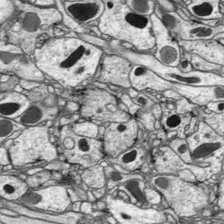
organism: Drosophila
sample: Optic lobe